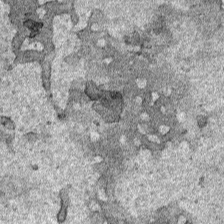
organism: Human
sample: Mitochondria in HCT116 cells